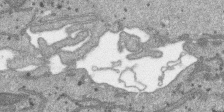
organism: Human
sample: Lung epithelial cells infected with SARS-CoV-2